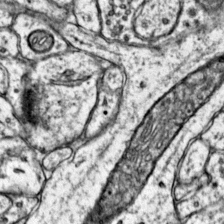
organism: Mouse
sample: Primary visual cortex